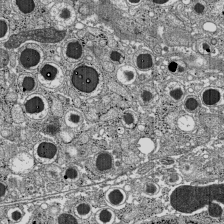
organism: C57BL Mouse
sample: Pancreatic islet